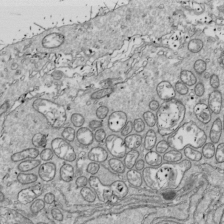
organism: Drosophila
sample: Cell division; meiosis; drosophila spermatocytes